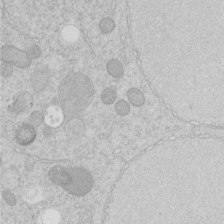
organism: C. elegans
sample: C. elegans embryo early stage